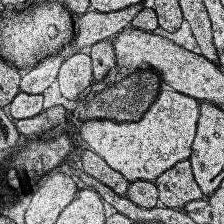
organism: Human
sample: Temporal Lobe